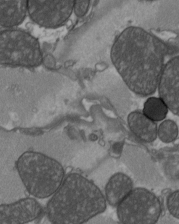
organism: C57BL Mouse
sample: Heart